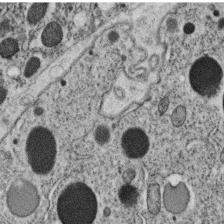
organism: C. elegans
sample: C. elegans oocyte; sperm cells